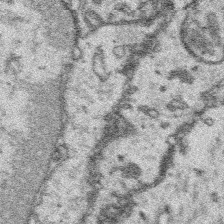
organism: Platynereis dumerilii